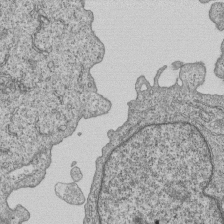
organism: Human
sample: MDA-MB-231 cells